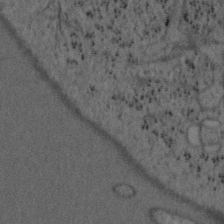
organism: Human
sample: HeLa cells